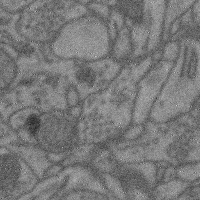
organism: Mouse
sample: Cerebral cortex